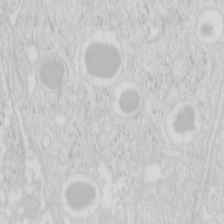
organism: Mouse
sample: Pancreas